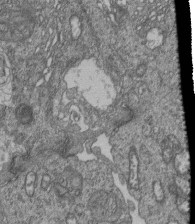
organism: Human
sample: Retinal organoid Rod and Cone cells